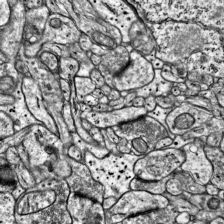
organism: Mouse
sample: Visual Cortex